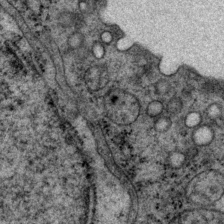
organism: P. pacificus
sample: Pharynx